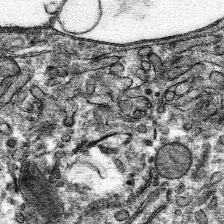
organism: Mouse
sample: Mouse hepatocytes